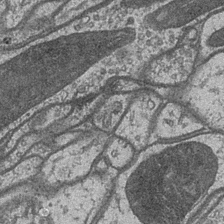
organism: Drosophila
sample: Optic medulla